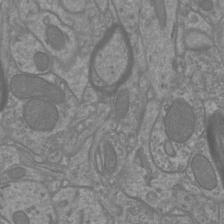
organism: Mouse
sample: Cortical neurons